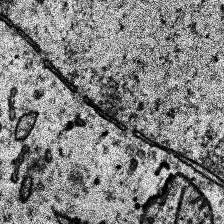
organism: Human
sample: Temporal Lobe